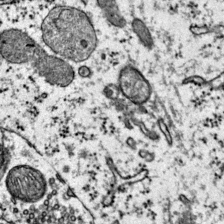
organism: Mouse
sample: Primary visual cortex